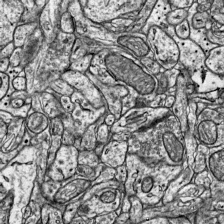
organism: Mouse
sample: Visual Cortex